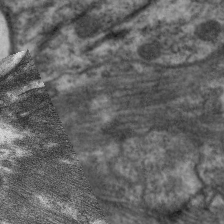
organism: C. elegans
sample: Pharynx